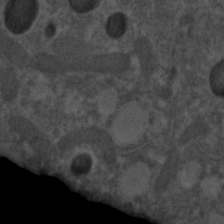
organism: C. elegans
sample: C. elegans embryo